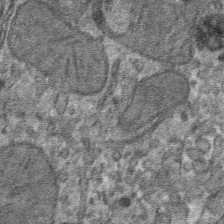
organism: Mouse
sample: Mouse hepatocytes